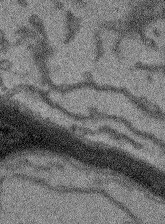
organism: Arabidopsis thaliana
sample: Root tip